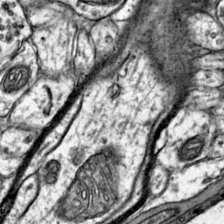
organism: Mouse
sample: Primary visual cortex